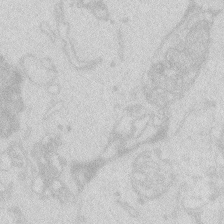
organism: Zebrafish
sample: Macrophage